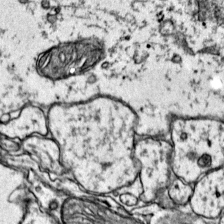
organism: Mouse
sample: Primary visual cortex